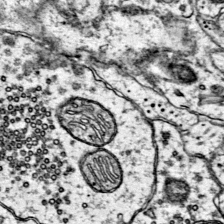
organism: Mouse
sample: Primary visual cortex